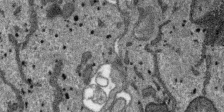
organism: Human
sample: Lung epithelial cells, uninfected (mock) control